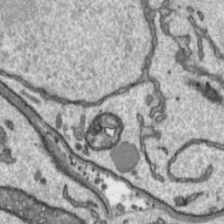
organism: Toxoplasma gondii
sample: Parasites in a vacuole inside a host cell